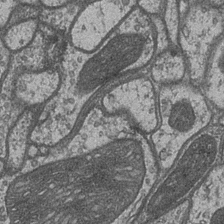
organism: Drosophila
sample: Optic medulla